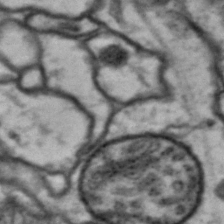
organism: Drosophila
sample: Brain